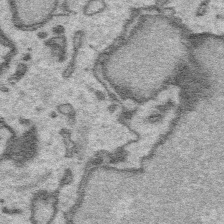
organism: Platynereis dumerilii